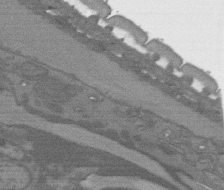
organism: C. elegans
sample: AFD neurons C. elegans